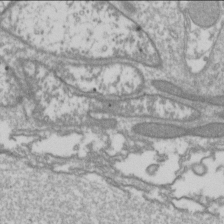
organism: Drosophila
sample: Cell division; meiosis; drosophila spermatocytes